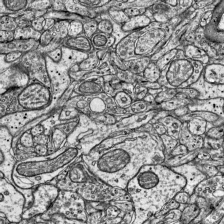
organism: Mouse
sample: Visual Cortex